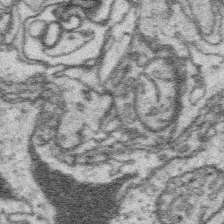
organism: Platynereis dumerilii